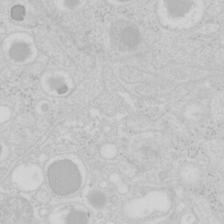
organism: Mouse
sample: Pancreas